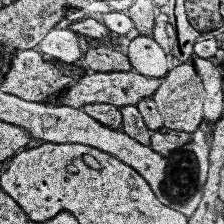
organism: Human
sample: Temporal Lobe